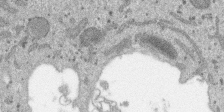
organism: Human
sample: Lung epithelial cells infected with SARS-CoV-2